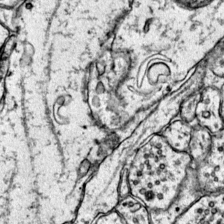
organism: Mouse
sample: Primary visual cortex